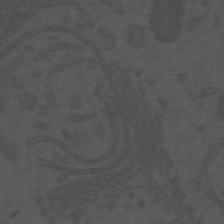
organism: Mouse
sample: Suprachiasmatic nucleus